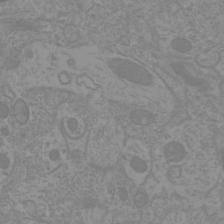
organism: Mouse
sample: Cortical neurons